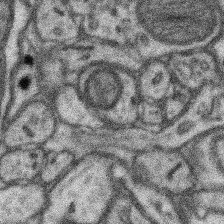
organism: Mouse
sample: Somatosensory cortex neuropil